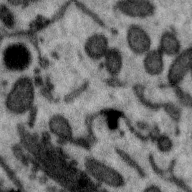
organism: Zebra finch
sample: Brain